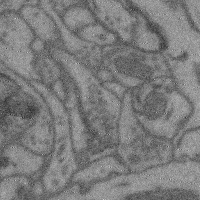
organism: Mouse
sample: Cerebral cortex